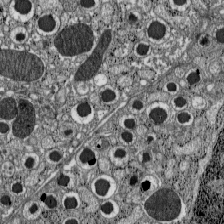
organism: C57BL Mouse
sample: Pancreatic islet